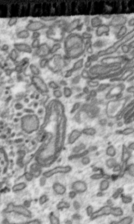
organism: Toxoplasma gondii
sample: Parasites in a vacuole inside a host cell